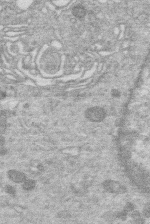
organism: Human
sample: Macrophage cells